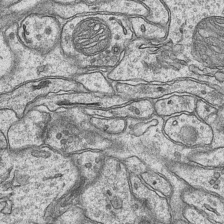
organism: Mouse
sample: CA1 Hippocampus